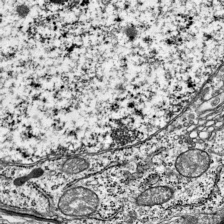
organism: Mouse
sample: Visual Cortex